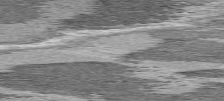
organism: C57BL Mouse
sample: Heart